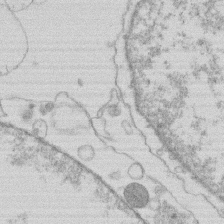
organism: Human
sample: Macrophage cells